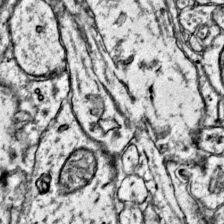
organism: Mouse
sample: Primary visual cortex